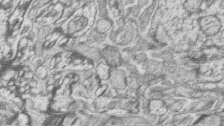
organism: Zebrafish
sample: synaptic ribbons in rod cells and cone cells